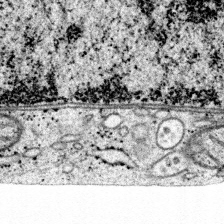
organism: Human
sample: HeLa cells